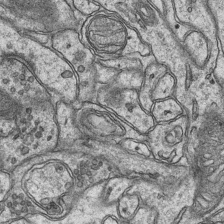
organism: Mouse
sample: CA1 Hippocampus